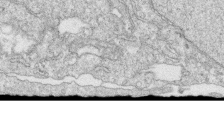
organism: Human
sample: HeLa cell HIV synapse